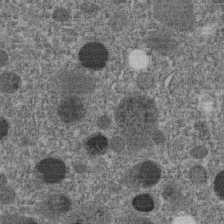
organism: C. elegans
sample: C. elegans embryo early stage